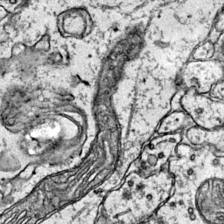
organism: Mouse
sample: Primary visual cortex